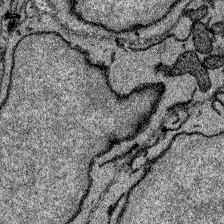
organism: Zebrafish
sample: Larval olfactory bulb